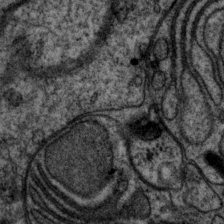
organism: P. pacificus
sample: Pharynx